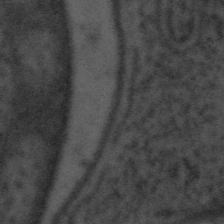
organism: Tuwongella immobilis